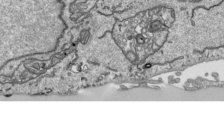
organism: Human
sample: Mitochondria in HCT116 cells